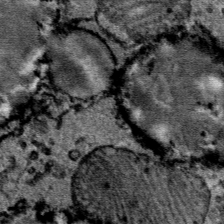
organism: Mouse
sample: Mouse Salivary gland